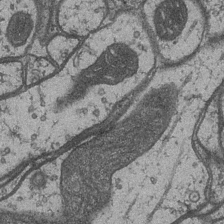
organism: Drosophila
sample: Optic medulla